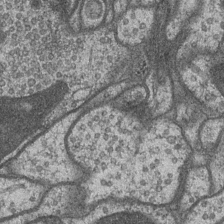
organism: Drosophila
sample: Optic medulla